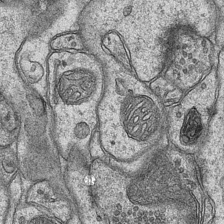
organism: Mouse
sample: CA1 Hippocampus